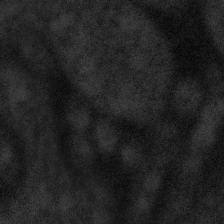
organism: Tuwongella immobilis